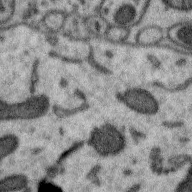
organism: Zebra finch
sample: Brain